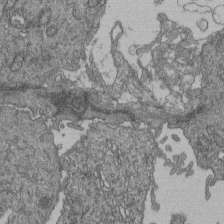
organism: Human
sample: Retinal organoid Rod and Cone cells